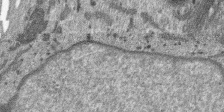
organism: Human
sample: Lung epithelial cells infected with SARS-CoV-2